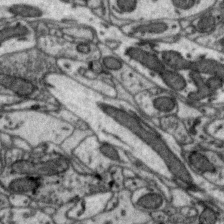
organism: Zebra finch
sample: Brain